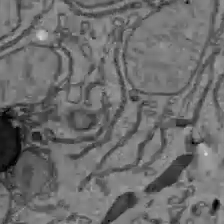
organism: C57BL Mouse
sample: Liver